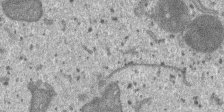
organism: Human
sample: Lung epithelial cells infected with SARS-CoV-2